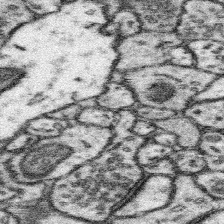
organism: Mouse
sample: Somatosensory cortex neuropil